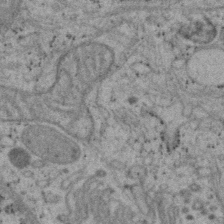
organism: Human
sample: HeLa cells